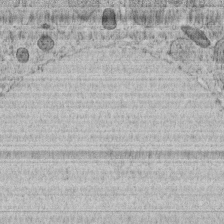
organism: C. elegans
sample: C. elegans embryo early stage